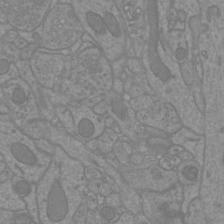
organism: Mouse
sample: Cortical neurons